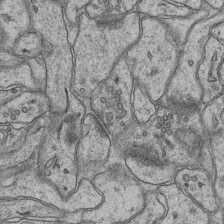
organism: Mouse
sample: CA1 Hippocampus